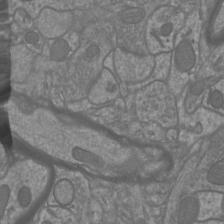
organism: Mouse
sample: Cortical neurons